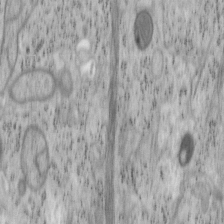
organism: Human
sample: HeLa cells